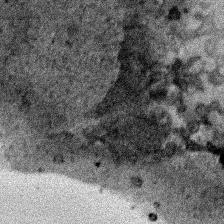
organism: Human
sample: Mitochondria in HCT116 cells